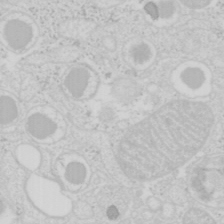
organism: Mouse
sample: Pancreas